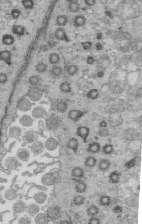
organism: Mouse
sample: Multiciliated cells